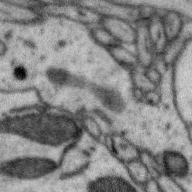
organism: Zebra finch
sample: Brain